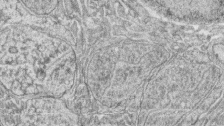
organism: Zebrafish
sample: synaptic ribbons in rod cells and cone cells